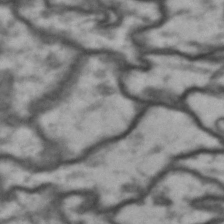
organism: Drosophila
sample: Brain